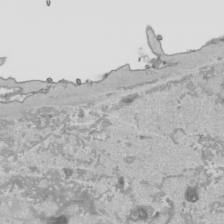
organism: Human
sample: Mitochondria in HCT116 cells